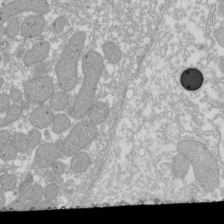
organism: Xenopus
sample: Cilia; centrioles in frog embryo cells